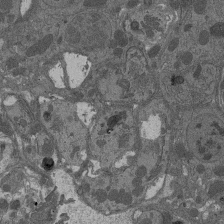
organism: Drosophila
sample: Antenna